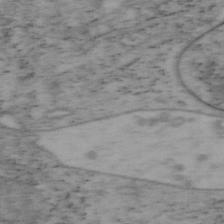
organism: Mouse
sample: OT-I killer T cells with ID8 ovarian cancer cells